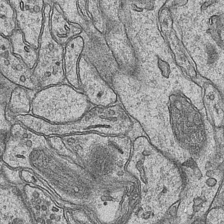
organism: Mouse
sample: CA1 Hippocampus